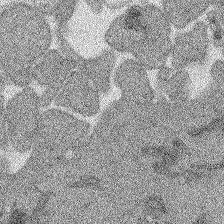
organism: Human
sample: HeLa cells